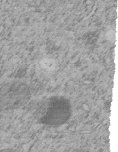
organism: C. elegans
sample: C. elegans embryo early stage